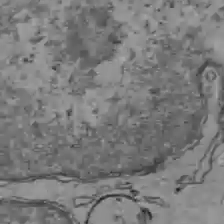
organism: C57BL Mouse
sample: Liver